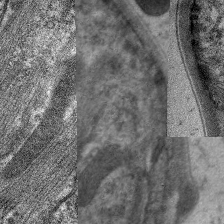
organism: C. elegans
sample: Pharynx